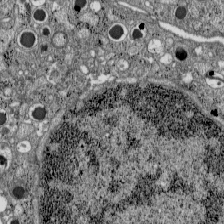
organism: C57BL Mouse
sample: Pancreatic islet